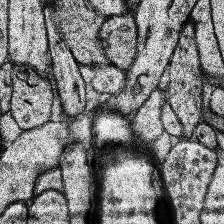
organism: Human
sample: Temporal Lobe